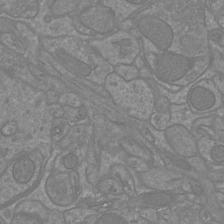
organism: Mouse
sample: Cortical neurons